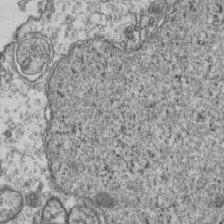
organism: Human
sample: Activated Jurkat CD4+ T cells